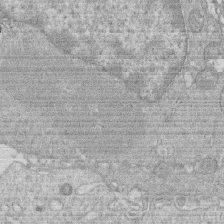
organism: Human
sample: Macrophage cells